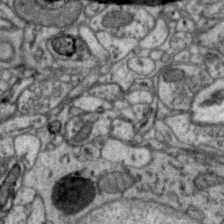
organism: Zebra finch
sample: Brain